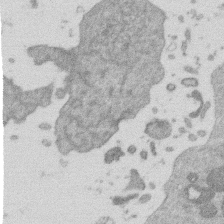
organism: Mouse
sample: Dividing mouse embryo 1 cell stage